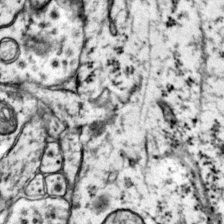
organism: Mouse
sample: Primary visual cortex